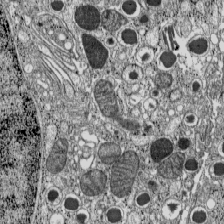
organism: C57BL Mouse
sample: Pancreatic islet